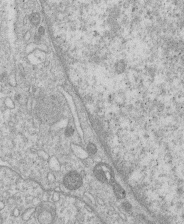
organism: Human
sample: Macrophage cells